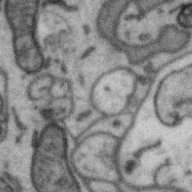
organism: Zebra finch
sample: Brain